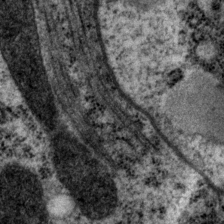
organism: P. pacificus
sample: Pharynx